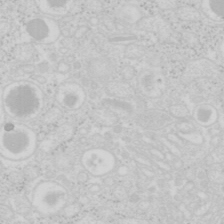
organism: Mouse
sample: Pancreas